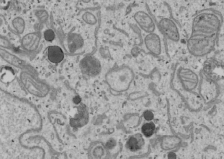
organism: Human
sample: Mitochondria in U2OS cells